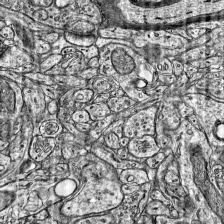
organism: Mouse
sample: Visual Cortex